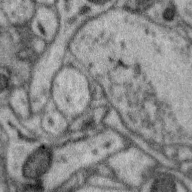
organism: Zebra finch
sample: Brain